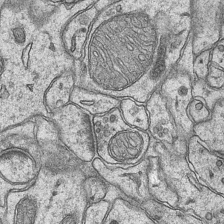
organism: Mouse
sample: CA1 Hippocampus